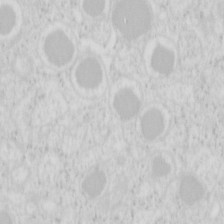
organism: Mouse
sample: Pancreas